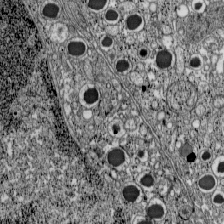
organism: C57BL Mouse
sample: Pancreatic islet